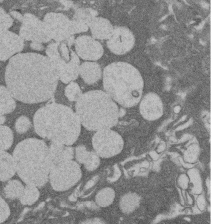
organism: Rat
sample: Salivary granule